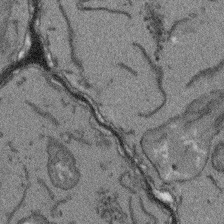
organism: Arabidopsis thaliana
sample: Root tip